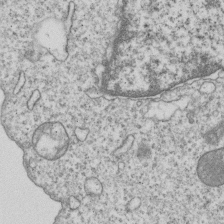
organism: Human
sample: MDA-MB-231 cells